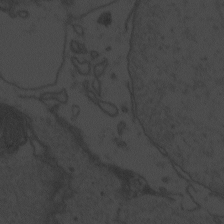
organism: Zebrafish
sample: Macrophage infected with Toxoplasma gondii